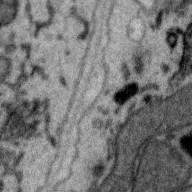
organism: Zebra finch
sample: Brain